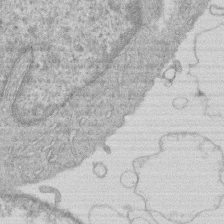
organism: Human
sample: Macrophage cells